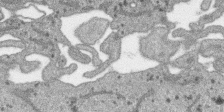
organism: Human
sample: Lung epithelial cells infected with SARS-CoV-2